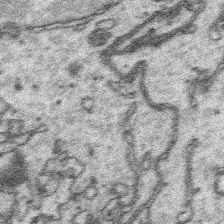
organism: Platynereis dumerilii